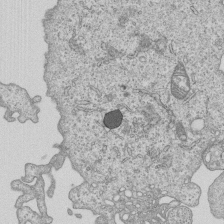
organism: Human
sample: MDA-MB-231 cells